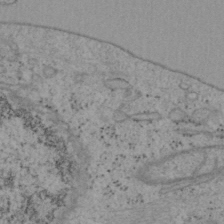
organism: Human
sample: HeLa cells